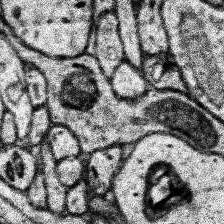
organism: Human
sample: Temporal Lobe